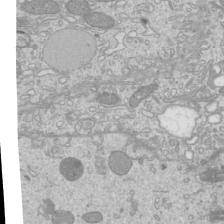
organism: Mouse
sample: Cilia; mouse epididymis